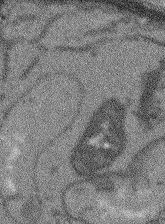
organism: Arabidopsis thaliana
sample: Root tip